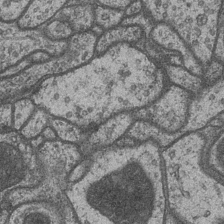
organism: Drosophila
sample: Optic medulla